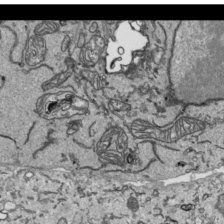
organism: Human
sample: Mitochondria in HCT116 cells